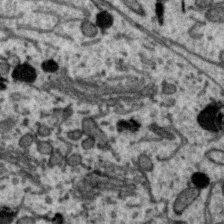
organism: Zebra finch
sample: Brain